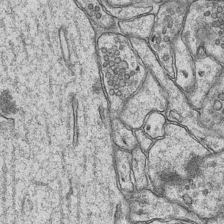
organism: Mouse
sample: CA1 Hippocampus